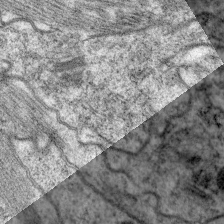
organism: C. elegans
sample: Pharynx